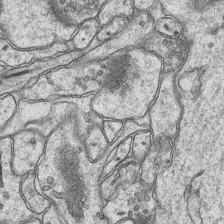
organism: Mouse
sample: CA1 Hippocampus